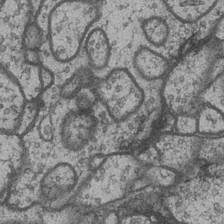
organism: Drosophila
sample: Optic medulla